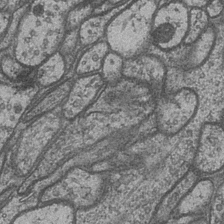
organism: Drosophila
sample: Optic medulla